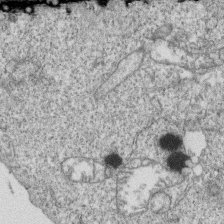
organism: Human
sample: HeLa cell HIV synapse